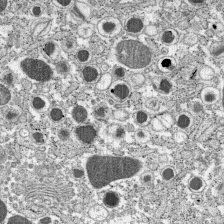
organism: C57BL Mouse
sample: Pancreatic islet